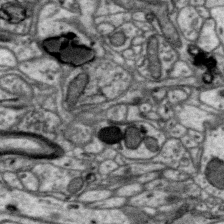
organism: Zebra finch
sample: Brain